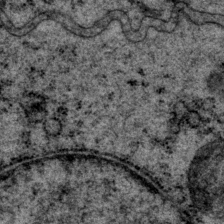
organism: P. pacificus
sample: Pharynx